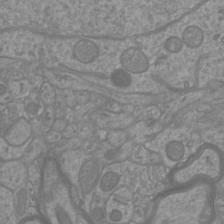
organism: Mouse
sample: Cortical neurons